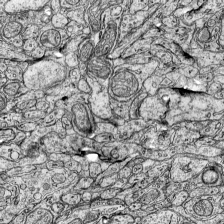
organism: Mouse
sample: Visual Cortex